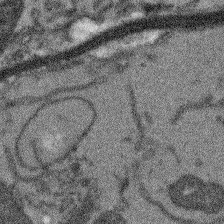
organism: Arabidopsis thaliana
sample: Root tip